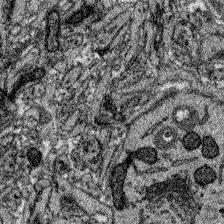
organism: Zebrafish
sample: Larval olfactory bulb